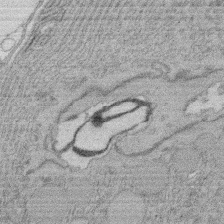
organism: Rat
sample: Salivary granule